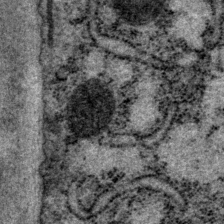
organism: P. pacificus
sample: Pharynx